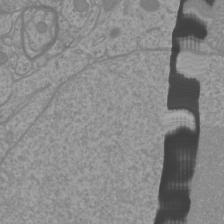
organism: Mouse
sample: Cortical neurons